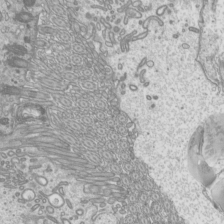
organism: Mouse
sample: Cilia; mouse epididymis